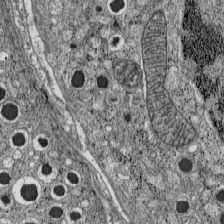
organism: C57BL Mouse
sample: Pancreatic islet